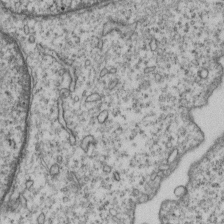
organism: Human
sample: MDA-MB-231 cells